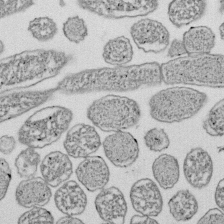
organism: E. coli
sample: Bacterial nucleoid